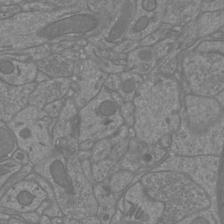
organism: Mouse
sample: Cortical neurons